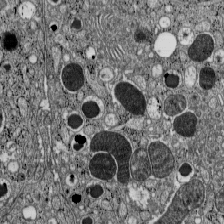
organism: C57BL Mouse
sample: Pancreatic islet